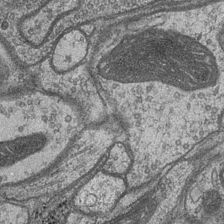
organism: Drosophila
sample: Optic medulla